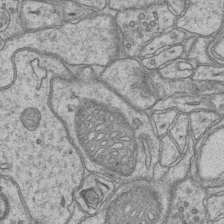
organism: Mouse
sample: CA1 Hippocampus